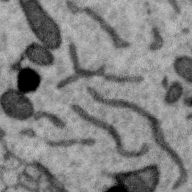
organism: Zebra finch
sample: Brain